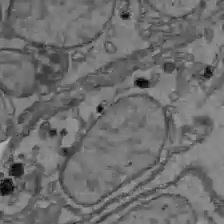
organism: C57BL Mouse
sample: Liver